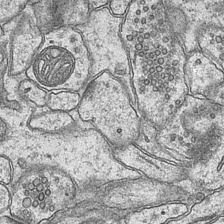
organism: Mouse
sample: CA1 Hippocampus